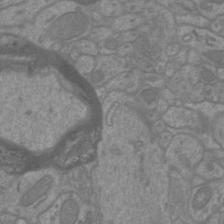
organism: Mouse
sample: Cortical neurons